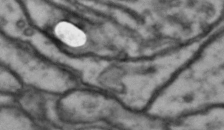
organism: Drosophila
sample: Brain